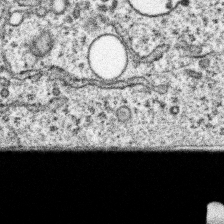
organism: Human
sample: HeLa cells